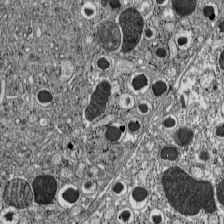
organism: C57BL Mouse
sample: Pancreatic islet